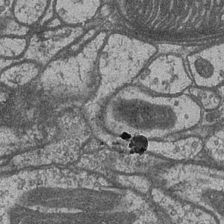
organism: Drosophila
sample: Optic medulla